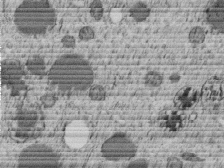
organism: C. elegans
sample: C. elegans embryo early stage